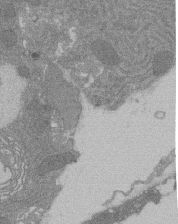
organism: Rat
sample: Salivary granule